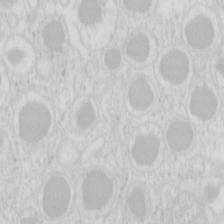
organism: Mouse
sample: Pancreas